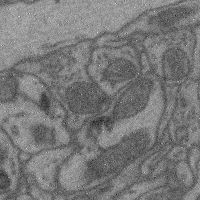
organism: Mouse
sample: Cerebral cortex